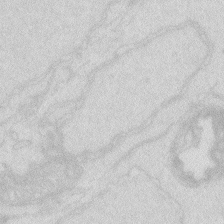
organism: Zebrafish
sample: Macrophage